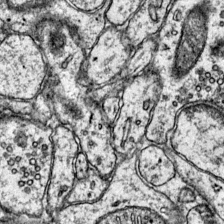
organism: Mouse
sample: Primary visual cortex